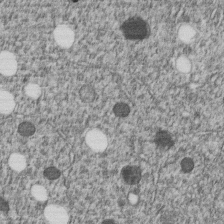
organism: C. elegans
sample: C. elegans embryo early stage